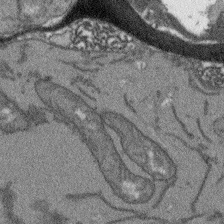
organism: Arabidopsis thaliana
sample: Root tip